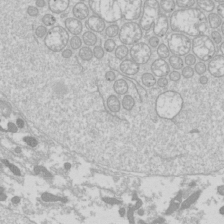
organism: Drosophila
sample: Cell division; meiosis; drosophila spermatocytes